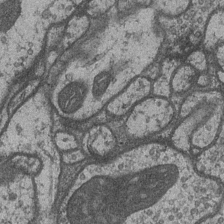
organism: Drosophila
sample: Optic medulla